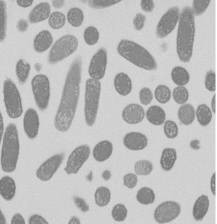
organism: E. coli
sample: Bacterial nucleoid